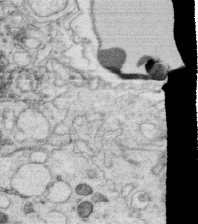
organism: C. elegans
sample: C. elegans oocyte; sperm cells